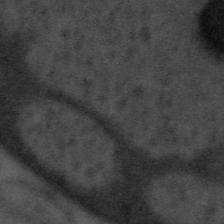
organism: Tuwongella immobilis